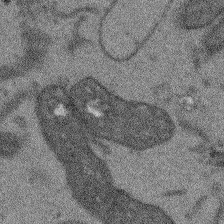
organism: Arabidopsis thaliana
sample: Root tip